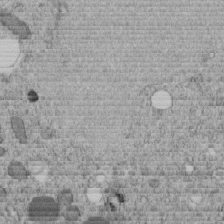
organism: C. elegans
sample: C. elegans embryo early stage